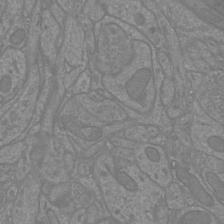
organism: Mouse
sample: Cortical neurons